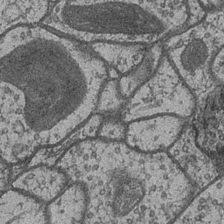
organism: Drosophila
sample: Optic medulla